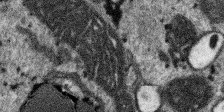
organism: Human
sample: Lung epithelial cells infected with SARS-CoV-2